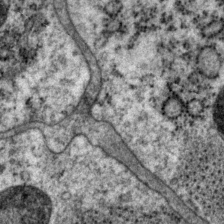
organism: P. pacificus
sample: Pharynx